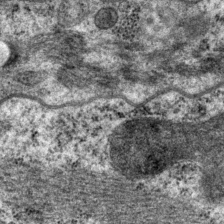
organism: P. pacificus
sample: Pharynx